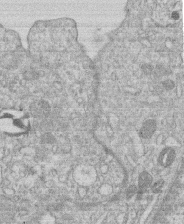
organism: Human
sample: Macrophage cells